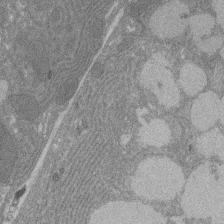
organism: Rat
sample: Salivary granule